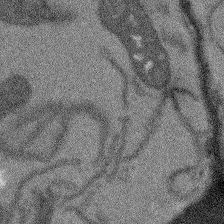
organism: Arabidopsis thaliana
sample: Root tip